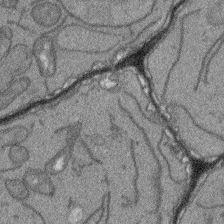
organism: Arabidopsis thaliana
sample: Root tip